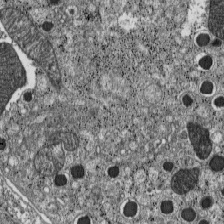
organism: C57BL Mouse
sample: Pancreatic islet